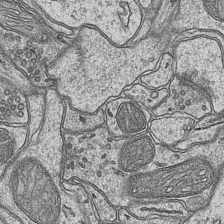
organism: Mouse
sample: CA1 Hippocampus